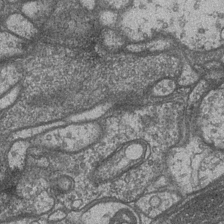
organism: Drosophila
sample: Optic medulla